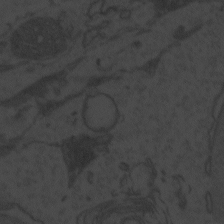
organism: Zebrafish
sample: Macrophage infected with Toxoplasma gondii